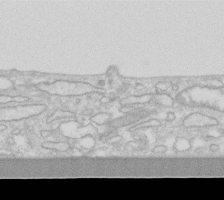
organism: Human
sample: Fibroblast cells